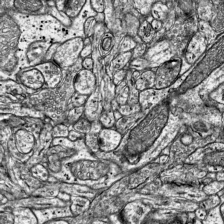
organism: Mouse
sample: Visual Cortex